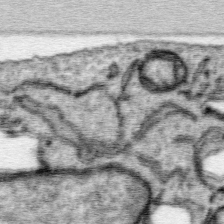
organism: Human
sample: HeLa cells